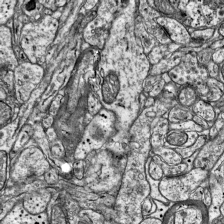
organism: Mouse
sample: Visual Cortex